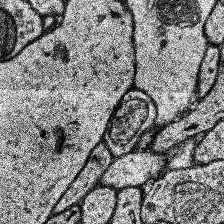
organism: Human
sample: Temporal Lobe